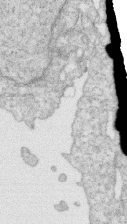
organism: Human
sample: HeLa cell HIV synapse